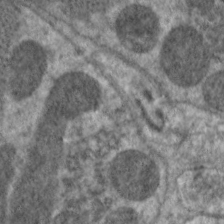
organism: C. elegans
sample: Pharynx